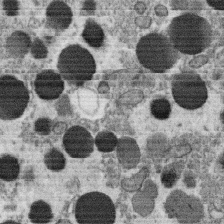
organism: C. elegans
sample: C. elegans oocyte; sperm cells